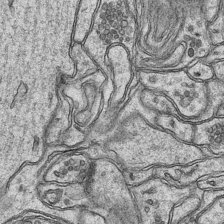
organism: Mouse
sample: CA1 Hippocampus